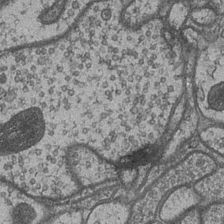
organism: Drosophila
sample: Optic medulla